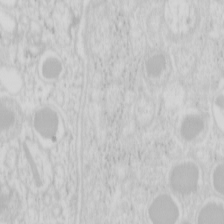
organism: Mouse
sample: Pancreas